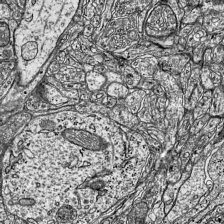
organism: Mouse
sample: Visual Cortex